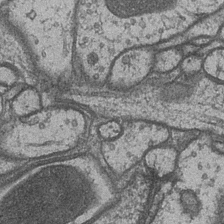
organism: Drosophila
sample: Optic medulla